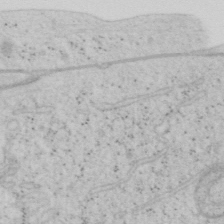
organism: Human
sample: HeLa cells